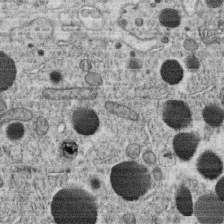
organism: C. elegans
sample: C. elegans oocyte; sperm cells